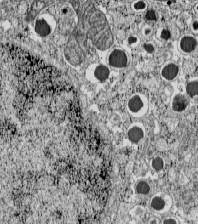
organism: C57BL Mouse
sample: Pancreatic islet